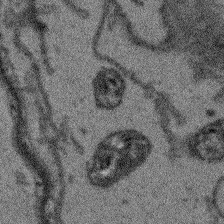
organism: Arabidopsis thaliana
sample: Root tip